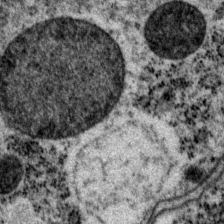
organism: P. pacificus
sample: Pharynx